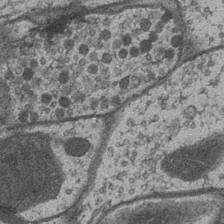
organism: Drosophila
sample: Optic medulla